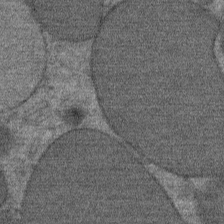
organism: Mouse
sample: Mouse Salivary gland